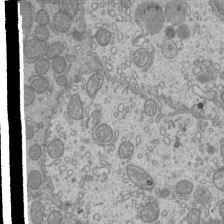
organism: Mouse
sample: Cilia; mouse epididymis